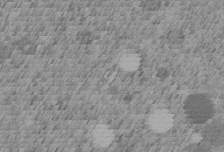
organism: C. elegans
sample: C. elegans embryo early stage